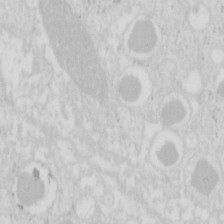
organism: Mouse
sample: Pancreas